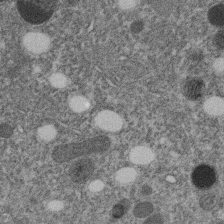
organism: C. elegans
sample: C. elegans embryo early stage